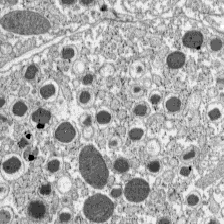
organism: C57BL Mouse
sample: Pancreatic islet